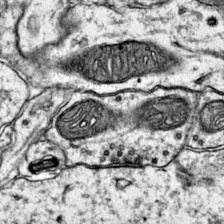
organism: Mouse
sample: Primary visual cortex